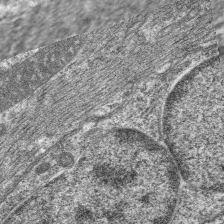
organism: C. elegans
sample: Pharynx